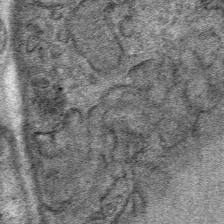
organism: Mouse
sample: Mouse Salivary gland